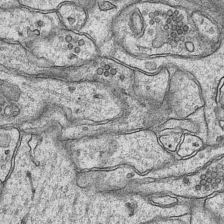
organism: Mouse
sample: CA1 Hippocampus